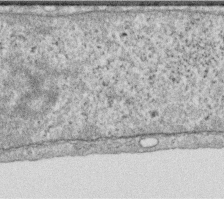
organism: Human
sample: Centriole in RPE cells